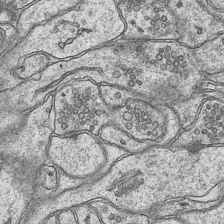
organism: Mouse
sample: CA1 Hippocampus